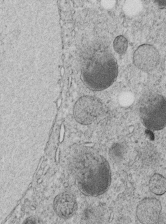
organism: C. elegans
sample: C. elegans embryo early stage